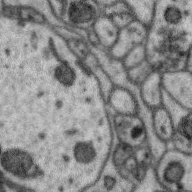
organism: Zebra finch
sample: Brain